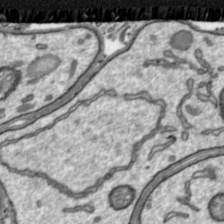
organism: Toxoplasma gondii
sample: Parasites in a vacuole inside a host cell